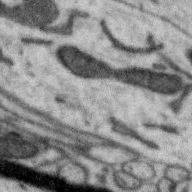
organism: Zebra finch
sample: Brain